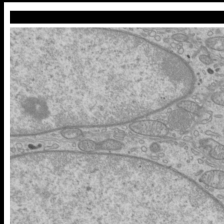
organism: Mouse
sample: Cilia; mouse epididymis